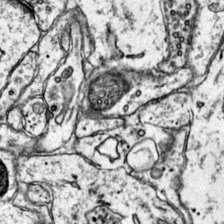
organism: Mouse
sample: Primary visual cortex